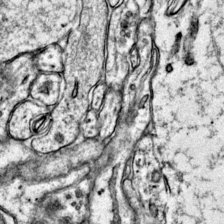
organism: Mouse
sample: Primary visual cortex